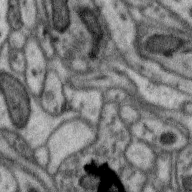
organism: Zebra finch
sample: Brain